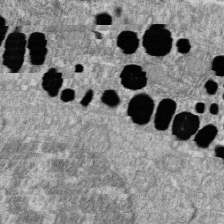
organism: Zebrafish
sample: Cilia; retinal pigment epithelium